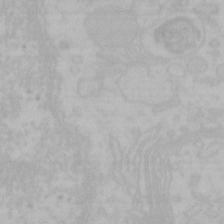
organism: Mouse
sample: Choroid plexus